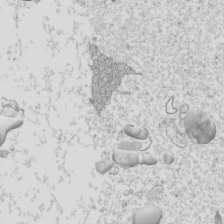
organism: Mouse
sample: Cilia; mouse epididymis